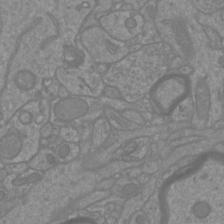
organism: Mouse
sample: Cortical neurons